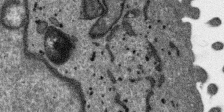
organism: Human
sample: Lung epithelial cells, uninfected (mock) control